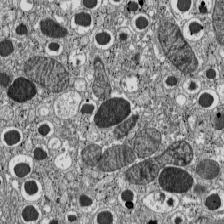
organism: C57BL Mouse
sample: Pancreatic islet